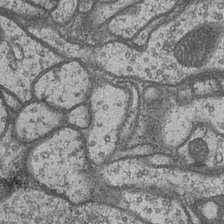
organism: Drosophila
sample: Optic medulla